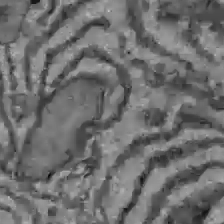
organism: C57BL Mouse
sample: Liver